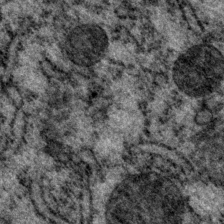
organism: P. pacificus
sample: Pharynx